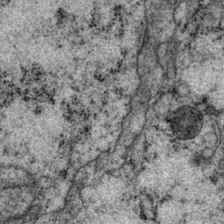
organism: P. pacificus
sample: Pharynx